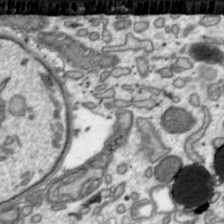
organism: Toxoplasma gondii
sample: Parasites in a vacuole inside a host cell